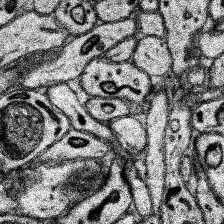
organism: Human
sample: Temporal Lobe